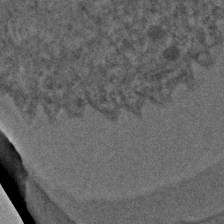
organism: C. elegans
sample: C. elegans embryo